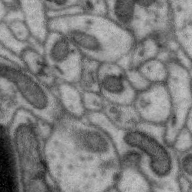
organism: Zebra finch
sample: Brain